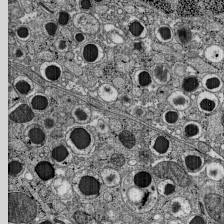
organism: C57BL Mouse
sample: Pancreatic islet